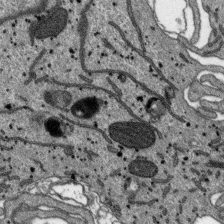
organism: Human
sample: Lung epithelial cells, uninfected (mock) control